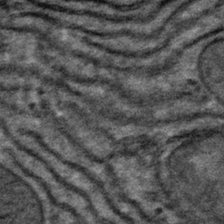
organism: Mouse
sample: Mouse hepatocytes